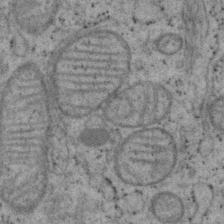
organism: Human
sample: HeLa cells